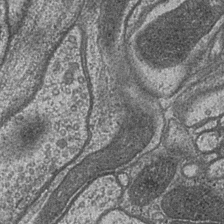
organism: Drosophila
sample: Optic medulla